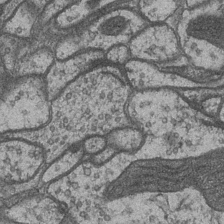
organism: Drosophila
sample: Optic medulla